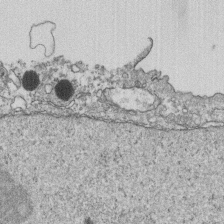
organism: Human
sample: HeLa cell HIV synapse